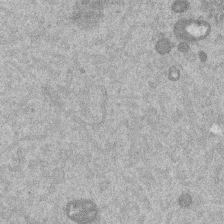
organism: Mouse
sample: Dividing mouse embryo 1 cell stage